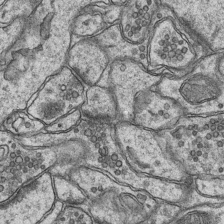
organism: Mouse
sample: CA1 Hippocampus